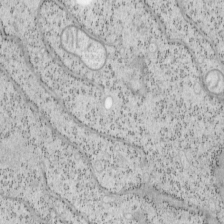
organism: Mouse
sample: OT-I killer T cells with ID8 ovarian cancer cells